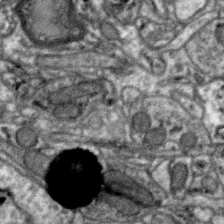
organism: Zebra finch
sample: Brain